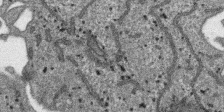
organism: Human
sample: Lung epithelial cells infected with SARS-CoV-2